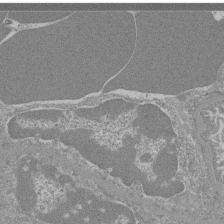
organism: Mouse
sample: Glomerulus